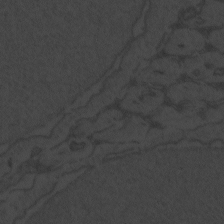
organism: Zebrafish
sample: Macrophage infected with Toxoplasma gondii